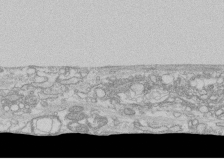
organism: Human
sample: CRL-1474